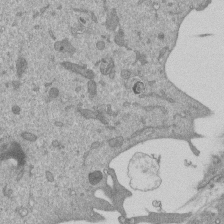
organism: Mouse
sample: ED-1 cell nuclei; centrioles